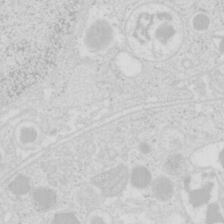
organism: Mouse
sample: Pancreas